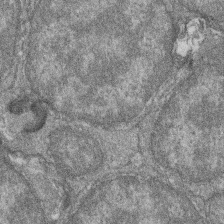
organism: Zebrafish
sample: Cilia; retinal pigment epithelium